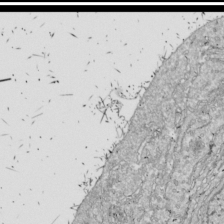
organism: Drosophila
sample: Cell division; meiosis; drosophila spermatocytes